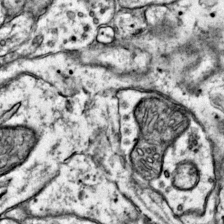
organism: Mouse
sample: Primary visual cortex